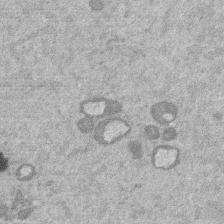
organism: Mouse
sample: Dividing mouse embryo 1 cell stage